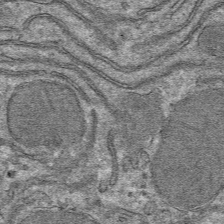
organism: Mouse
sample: Mouse hepatocytes